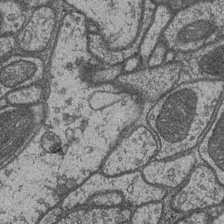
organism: Drosophila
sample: Optic medulla